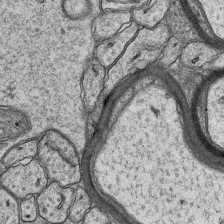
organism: Mouse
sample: CA1 Hippocampus